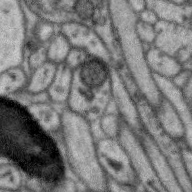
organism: Zebra finch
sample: Brain